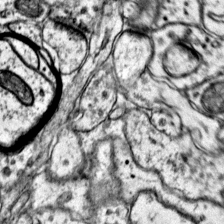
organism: Mouse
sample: Primary visual cortex